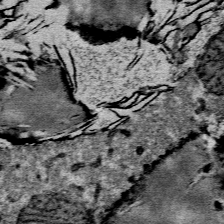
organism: Mouse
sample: Mouse Salivary gland